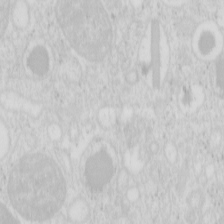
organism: Mouse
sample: Pancreas